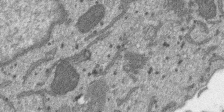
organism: Human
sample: Lung epithelial cells infected with SARS-CoV-2